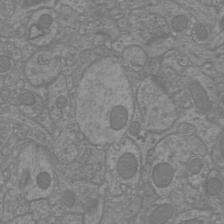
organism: Mouse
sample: Cortical neurons